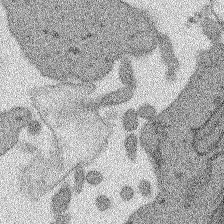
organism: Human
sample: HeLa cells